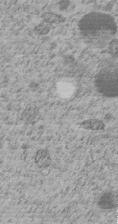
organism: C. elegans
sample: C. elegans embryo early stage